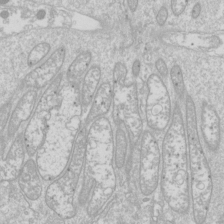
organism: Drosophila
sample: Cell division; meiosis; drosophila spermatocytes